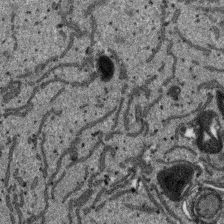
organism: Human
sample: Lung epithelial cells infected with SARS-CoV-2